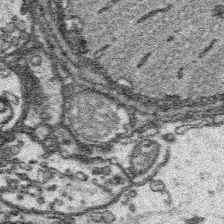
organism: Platynereis dumerilii